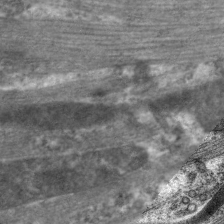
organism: C. elegans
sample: Pharynx